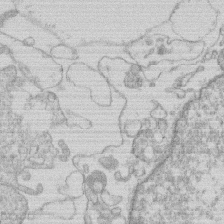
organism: Human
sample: Macrophage cells